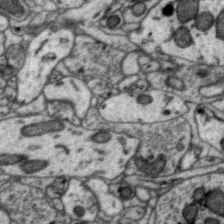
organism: Zebra finch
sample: Brain